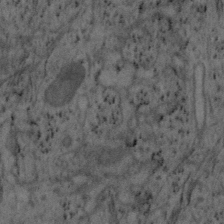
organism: Human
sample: HeLa cells